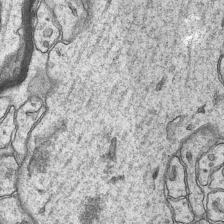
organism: Mouse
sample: CA1 Hippocampus